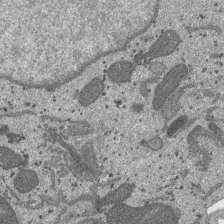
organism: Human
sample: Lung epithelial cells infected with SARS-CoV-2